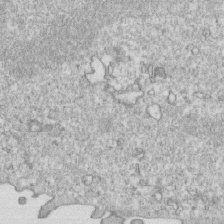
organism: Mouse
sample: Activated OT-1 CD8+ T cells